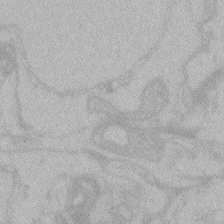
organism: Zebrafish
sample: Macrophage infected with Toxoplasma gondii